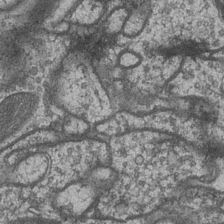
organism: Drosophila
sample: Optic medulla